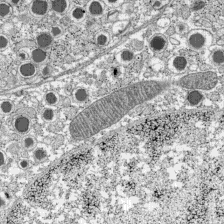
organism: C57BL Mouse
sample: Pancreatic islet